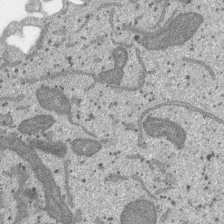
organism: Human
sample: Lung epithelial cells infected with SARS-CoV-2